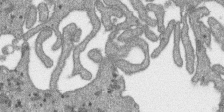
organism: Human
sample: Lung epithelial cells infected with SARS-CoV-2